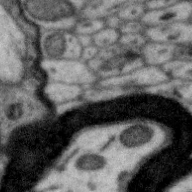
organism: Zebra finch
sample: Brain